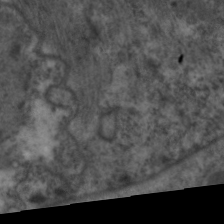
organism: C. elegans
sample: Pharynx